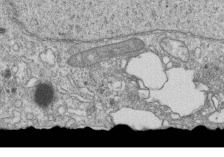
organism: Human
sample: HeLa cell HIV synapse